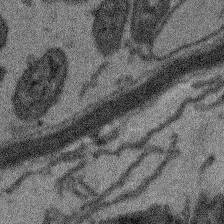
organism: Arabidopsis thaliana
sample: Root tip